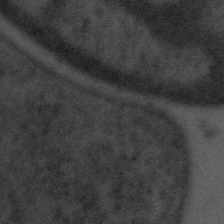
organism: Tuwongella immobilis